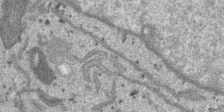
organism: Human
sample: Lung epithelial cells infected with SARS-CoV-2